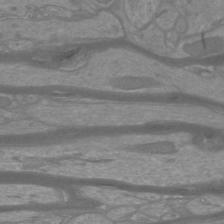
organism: Mouse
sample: Cortical neurons